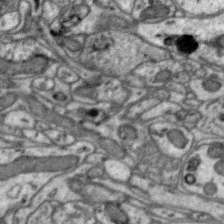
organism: Zebra finch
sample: Brain